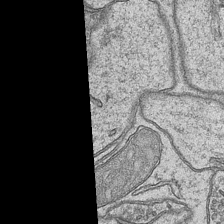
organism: Mouse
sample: CA1 Hippocampus